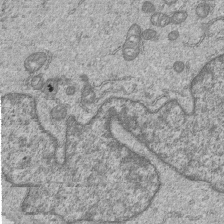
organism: Human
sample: MDA-MB-231 cells